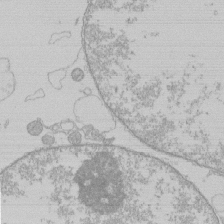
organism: Human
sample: Macrophage cells